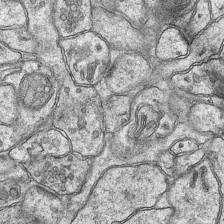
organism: Mouse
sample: CA1 Hippocampus